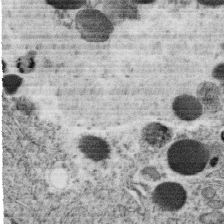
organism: C. elegans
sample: C. elegans oocyte; sperm cells